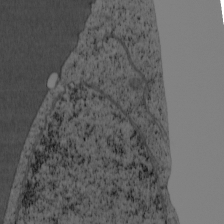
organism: African green monkey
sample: COS-7 cells